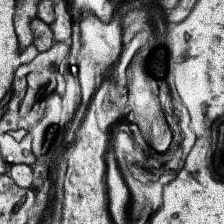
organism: Human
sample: Temporal Lobe